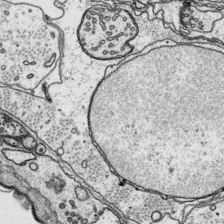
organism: Platynereis dumerilii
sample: Parapodia